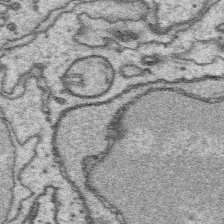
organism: Platynereis dumerilii